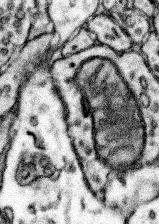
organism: Mouse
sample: Somatosensory cortex neuropil